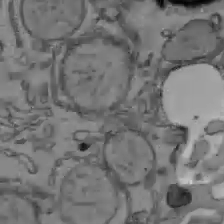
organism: C57BL Mouse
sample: Liver